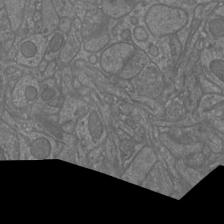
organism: Mouse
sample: Cortical neurons